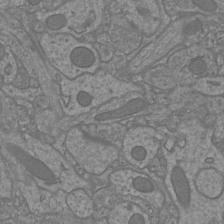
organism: Mouse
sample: Cortical neurons